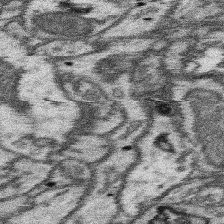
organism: Mouse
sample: Somatosensory cortex neuropil